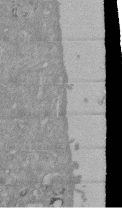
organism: Mouse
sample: ED-1 cell nuclei; centrioles